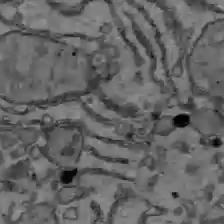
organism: C57BL Mouse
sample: Liver